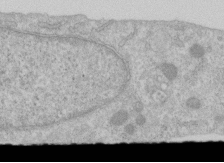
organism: Human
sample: Centriole in RPE cells